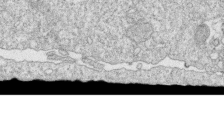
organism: Human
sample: HeLa cell HIV synapse